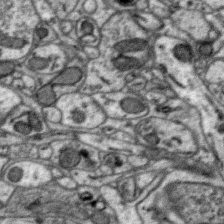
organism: Zebra finch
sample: Brain